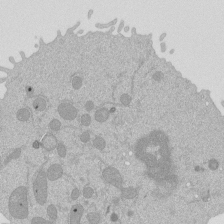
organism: Mouse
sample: Activated Pmel transgenic CD8+ T Cells